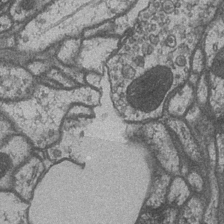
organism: Drosophila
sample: Optic medulla